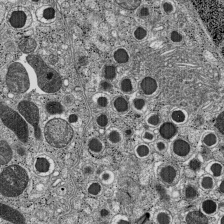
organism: C57BL Mouse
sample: Pancreatic islet